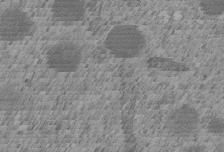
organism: C. elegans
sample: C. elegans embryo early stage